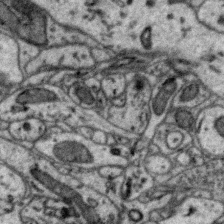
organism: Zebra finch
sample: Brain